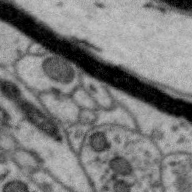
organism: Zebra finch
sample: Brain